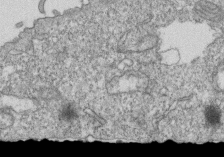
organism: Human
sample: HeLa cell HIV synapse